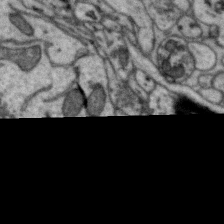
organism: Zebra finch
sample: Brain